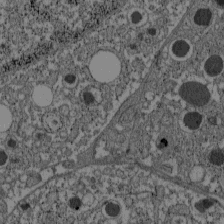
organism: C57BL Mouse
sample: Pancreatic islet